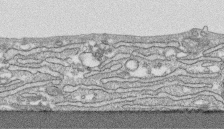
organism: Human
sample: CRL-1474